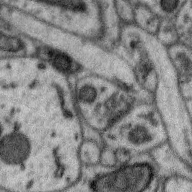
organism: Zebra finch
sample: Brain